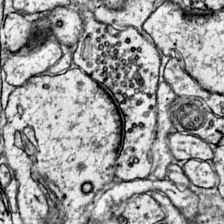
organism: Mouse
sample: Primary visual cortex